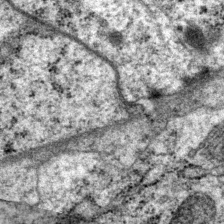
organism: P. pacificus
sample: Pharynx